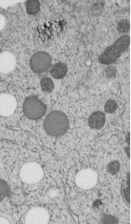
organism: C. elegans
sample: C. elegans embryo early stage